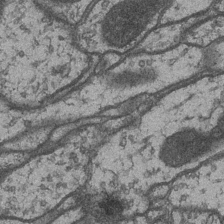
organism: Drosophila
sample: Optic medulla